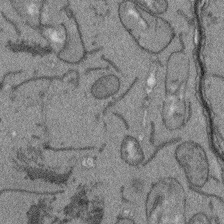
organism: Arabidopsis thaliana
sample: Root tip